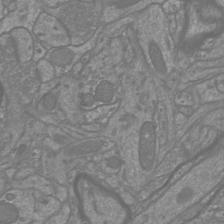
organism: Mouse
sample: Cortical neurons